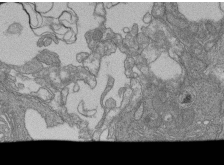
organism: Human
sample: Retinal organoid Rod and Cone cells